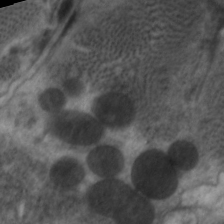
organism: C. elegans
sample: Pharynx